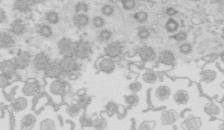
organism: Mouse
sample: Multiciliated cells